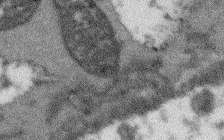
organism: Arabidopsis thaliana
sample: Root tip